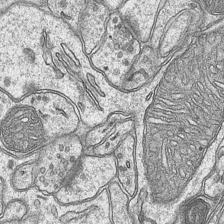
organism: Mouse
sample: CA1 Hippocampus